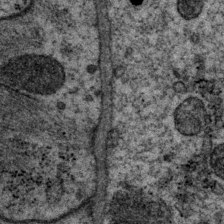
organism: P. pacificus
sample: Pharynx